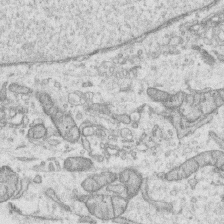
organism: Human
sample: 1205lu cells